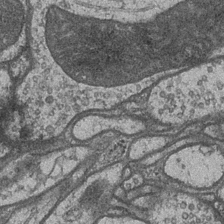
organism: Drosophila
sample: Optic medulla